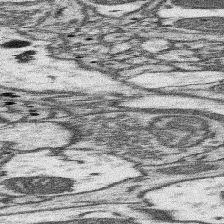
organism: Mouse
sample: Somatosensory cortex neuropil